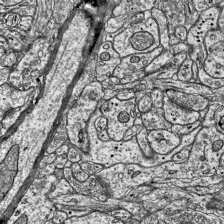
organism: Mouse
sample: Visual Cortex